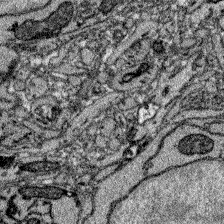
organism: Zebrafish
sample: Larval olfactory bulb